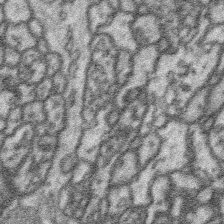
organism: Platynereis dumerilii